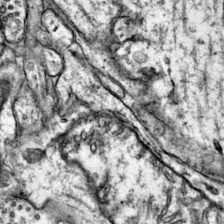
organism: Mouse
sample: Primary visual cortex